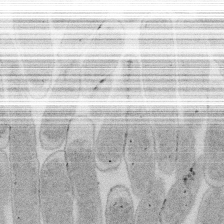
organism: E. coli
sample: Bacterial nucleoid